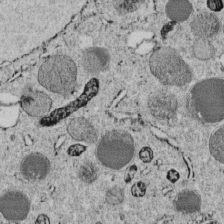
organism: C. elegans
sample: C. elegans embryo early stage